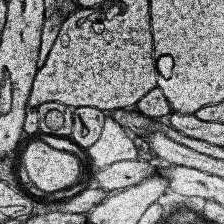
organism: Human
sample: Temporal Lobe